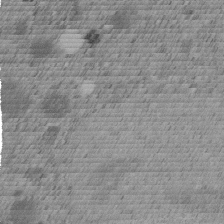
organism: C. elegans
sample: C. elegans embryo early stage